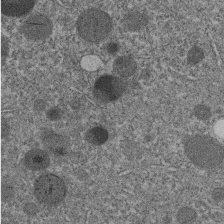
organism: C. elegans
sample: C. elegans embryo early stage